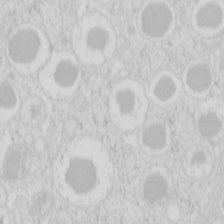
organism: Mouse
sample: Pancreas